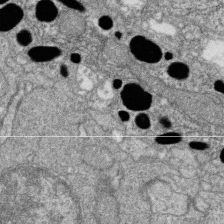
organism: Zebrafish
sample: Cilia; retinal pigment epithelium